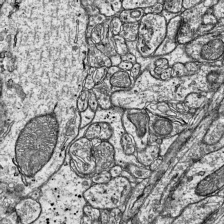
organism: Mouse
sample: Visual Cortex